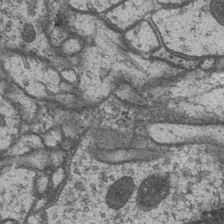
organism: Drosophila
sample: Optic medulla